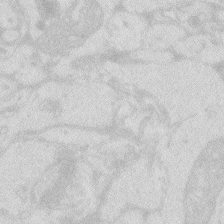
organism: Zebrafish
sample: Macrophage